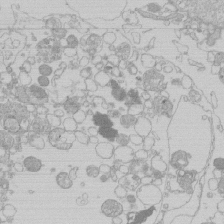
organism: Human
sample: Macrophage cells